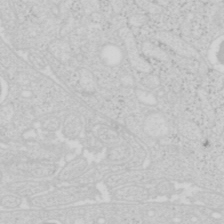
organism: Mouse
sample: Pancreas